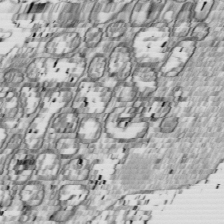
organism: Drosophila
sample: Cell division; meiosis; drosophila spermatocytes